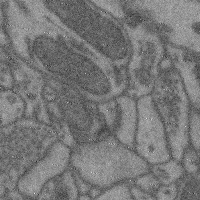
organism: Mouse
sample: Cerebral cortex